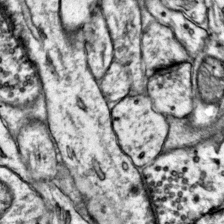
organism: Mouse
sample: Primary visual cortex